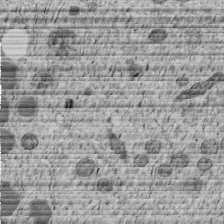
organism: C. elegans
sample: C. elegans embryo early stage